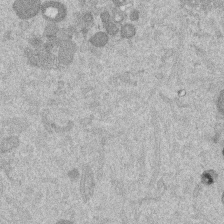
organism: Mouse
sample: Dividing mouse embryo 1 cell stage